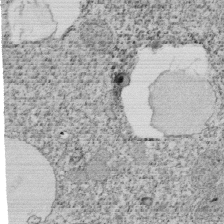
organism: Tetrahymena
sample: Cilia in tetrahymena